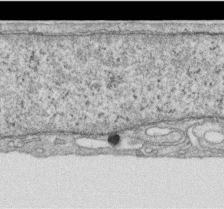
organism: Human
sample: Centriole in RPE cells